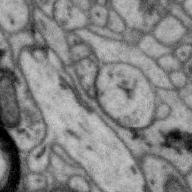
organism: Zebra finch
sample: Brain